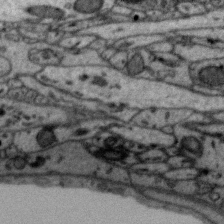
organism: Zebra finch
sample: Brain